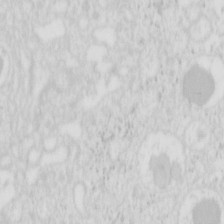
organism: Mouse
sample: Pancreas